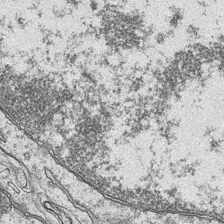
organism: Mouse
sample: CA1 Hippocampus